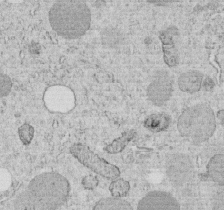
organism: C. elegans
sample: C. elegans embryo early stage